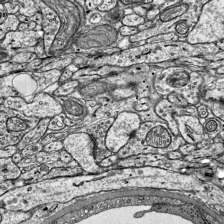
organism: Mouse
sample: Visual Cortex